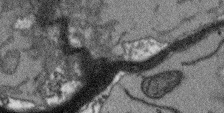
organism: Arabidopsis thaliana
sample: Root tip